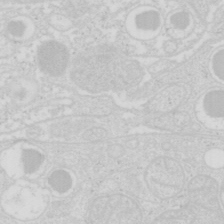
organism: Mouse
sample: Pancreas